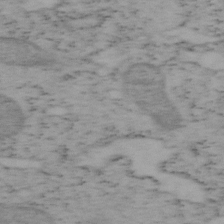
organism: Mouse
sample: OT-I killer T cells with ID8 ovarian cancer cells